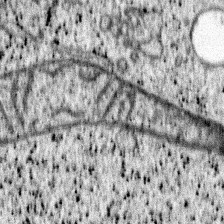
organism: Human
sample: HeLa cells